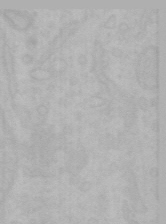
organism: Mouse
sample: Choroid plexus